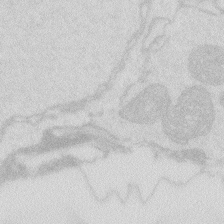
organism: Zebrafish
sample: Macrophage